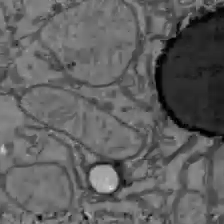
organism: C57BL Mouse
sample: Liver